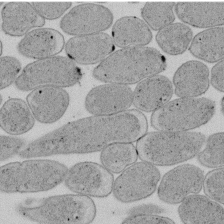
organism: E. coli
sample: Bacterial nucleoid